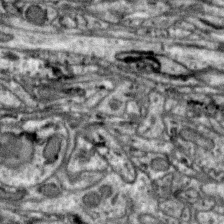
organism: Zebra finch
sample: Brain